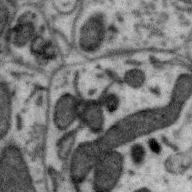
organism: Zebra finch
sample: Brain